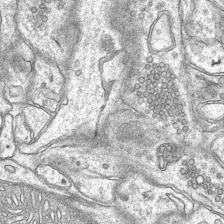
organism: Mouse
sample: CA1 Hippocampus